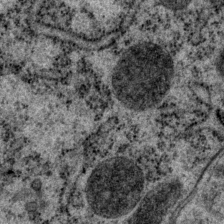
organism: P. pacificus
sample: Pharynx